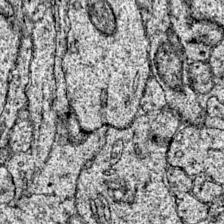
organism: Mouse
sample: Primary visual cortex